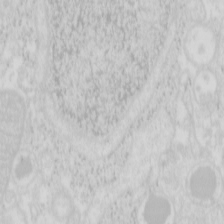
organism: Mouse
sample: Pancreas